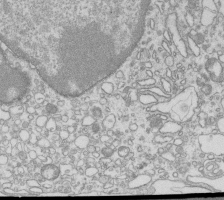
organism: Mouse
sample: Macrophages